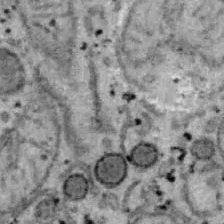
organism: Mouse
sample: Liver from an obese (ob/ob) mouse